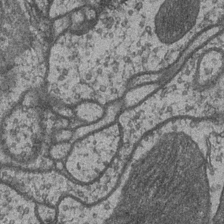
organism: Drosophila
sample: Optic medulla